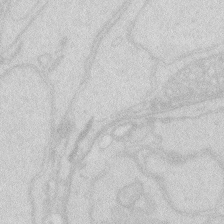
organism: Zebrafish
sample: Macrophage